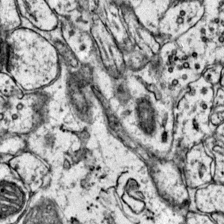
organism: Mouse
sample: Primary visual cortex